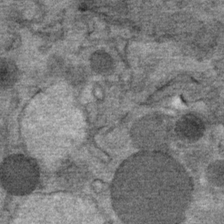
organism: Mouse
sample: Mouse Salivary gland